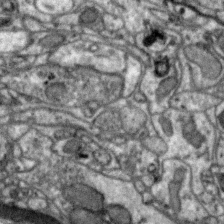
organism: Zebra finch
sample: Brain